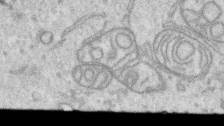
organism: Human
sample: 1205lu cells